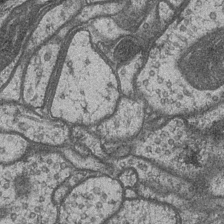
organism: Drosophila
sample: Optic medulla